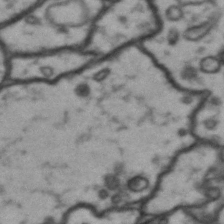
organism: Drosophila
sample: Brain